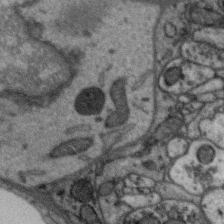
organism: Zebra finch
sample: Brain